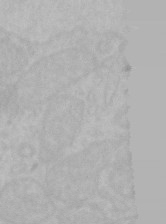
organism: Mouse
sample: Choroid plexus